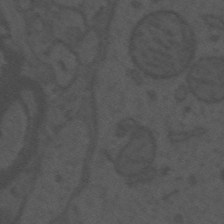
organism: Mouse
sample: Suprachiasmatic nucleus